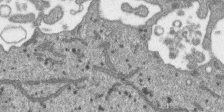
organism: Human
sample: Lung epithelial cells infected with SARS-CoV-2